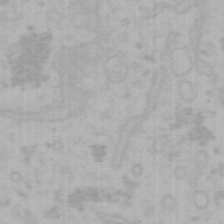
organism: Mouse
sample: Choroid plexus